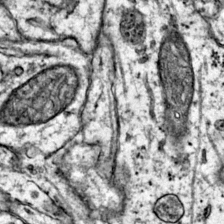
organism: Mouse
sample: Primary visual cortex